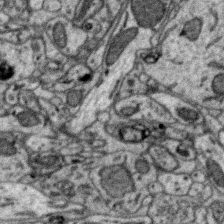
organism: Zebra finch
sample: Brain